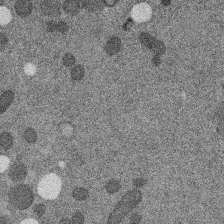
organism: C. elegans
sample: C. elegans embryo early stage